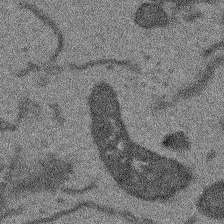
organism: Arabidopsis thaliana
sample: Root tip